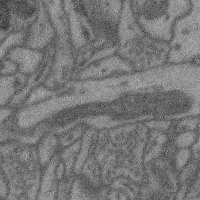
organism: Mouse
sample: Cerebral cortex